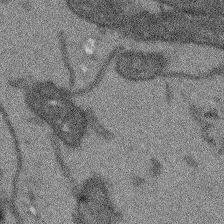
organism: Arabidopsis thaliana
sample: Root tip